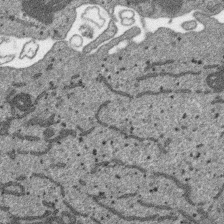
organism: Human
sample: Lung epithelial cells infected with SARS-CoV-2